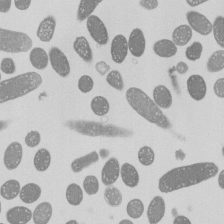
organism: E. coli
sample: Bacterial nucleoid